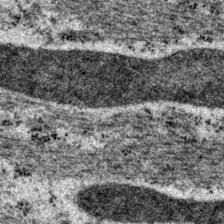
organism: P. pacificus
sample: Pharynx